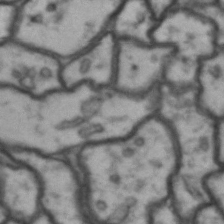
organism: Drosophila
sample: Brain